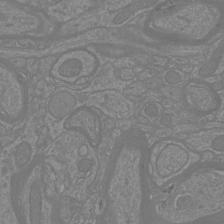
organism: Mouse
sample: Cortical neurons